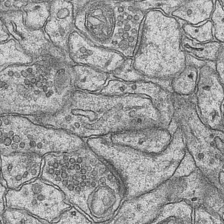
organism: Mouse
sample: CA1 Hippocampus